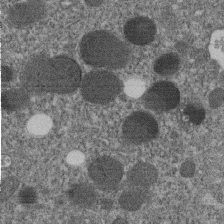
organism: C. elegans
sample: C. elegans embryo early stage